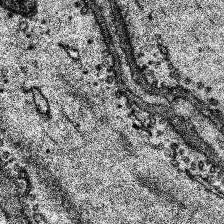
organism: Human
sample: Temporal Lobe